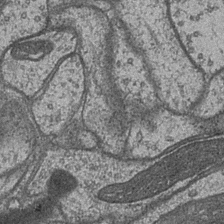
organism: Drosophila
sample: Optic medulla